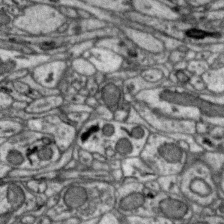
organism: Zebra finch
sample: Brain